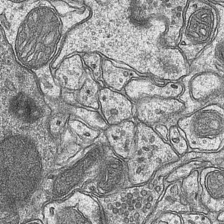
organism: Mouse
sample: CA1 Hippocampus